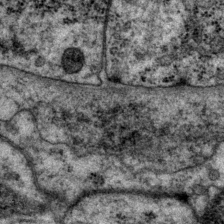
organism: P. pacificus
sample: Pharynx